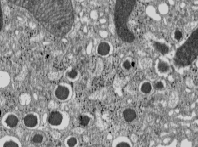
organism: C57BL Mouse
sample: Pancreatic islet